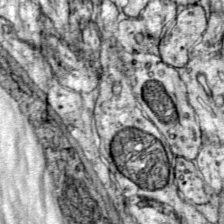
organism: Mouse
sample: Primary visual cortex